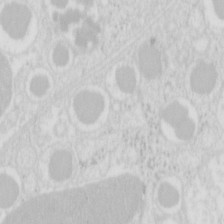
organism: Mouse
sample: Pancreas